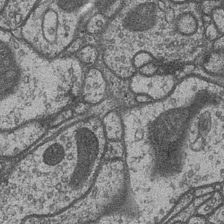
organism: Drosophila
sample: Optic medulla